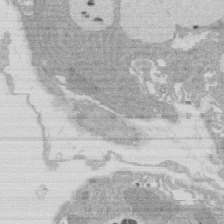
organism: Rat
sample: Salivary granule